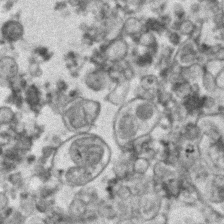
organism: Human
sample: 1205lu cells